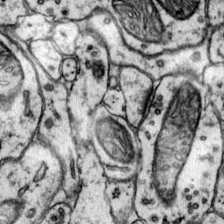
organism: Mouse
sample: Primary visual cortex